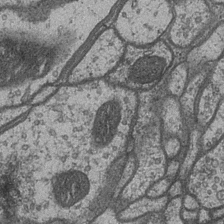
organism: Drosophila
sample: Optic medulla